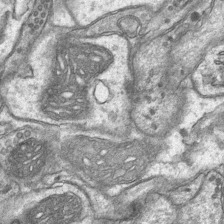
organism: Mouse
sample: CA1 Hippocampus